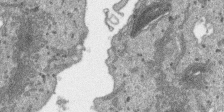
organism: Human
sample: Lung epithelial cells infected with SARS-CoV-2